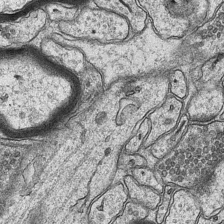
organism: Mouse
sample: CA1 Hippocampus